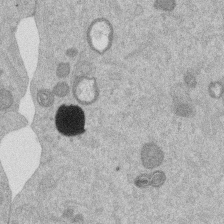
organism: Mouse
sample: Dividing mouse embryo 1 cell stage